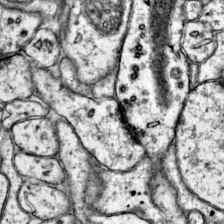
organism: Mouse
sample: Primary visual cortex